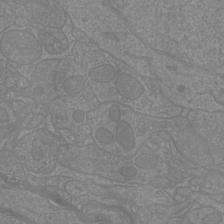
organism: Mouse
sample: Cortical neurons